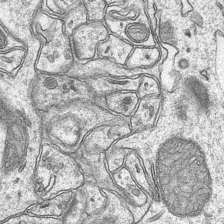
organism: Mouse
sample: CA1 Hippocampus